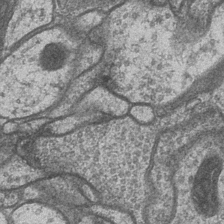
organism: Drosophila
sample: Optic medulla